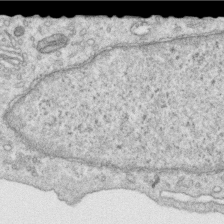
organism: Human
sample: Centriole in RPE cells